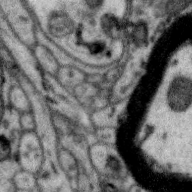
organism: Zebra finch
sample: Brain